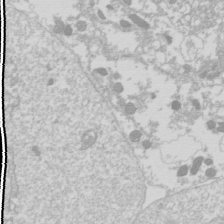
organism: Drosophila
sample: Cell division; meiosis; drosophila spermatocytes